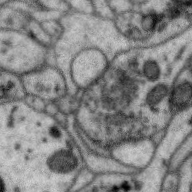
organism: Zebra finch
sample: Brain